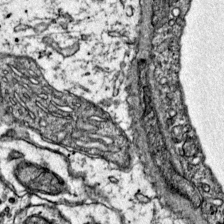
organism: Mouse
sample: Primary visual cortex